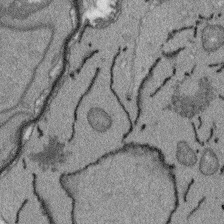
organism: Arabidopsis thaliana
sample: Root tip